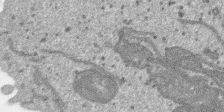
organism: Human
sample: Lung epithelial cells infected with SARS-CoV-2